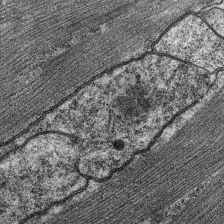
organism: C. elegans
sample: Pharynx